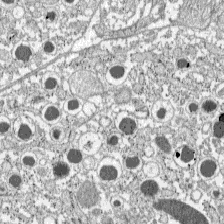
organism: C57BL Mouse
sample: Pancreatic islet